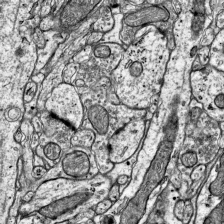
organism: Mouse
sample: Visual Cortex